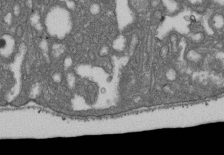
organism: Drosophila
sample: Nephrocyte